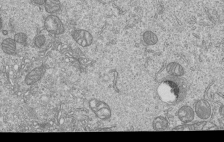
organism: Human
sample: MDA-MB-231 cells